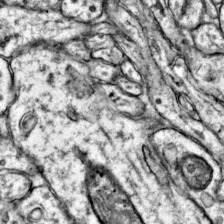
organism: Mouse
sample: Primary visual cortex